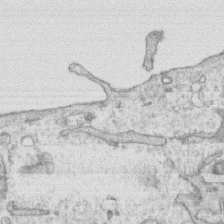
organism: Human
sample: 1205lu cells